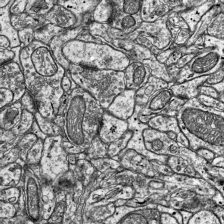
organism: Mouse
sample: Visual Cortex